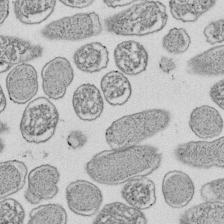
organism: E. coli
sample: Bacterial nucleoid